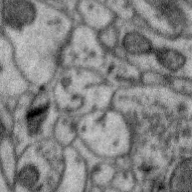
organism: Zebra finch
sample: Brain